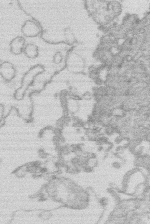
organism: Human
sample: Macrophage cells